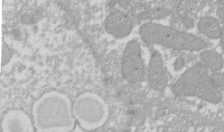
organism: Xenopus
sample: Cilia; centrioles in frog embryo cells